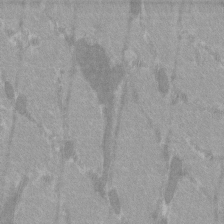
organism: C57BL Mouse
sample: Tibialis anterior muscle cell